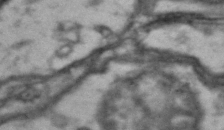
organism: Drosophila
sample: Brain